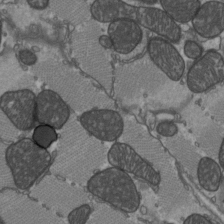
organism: C57BL Mouse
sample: Heart